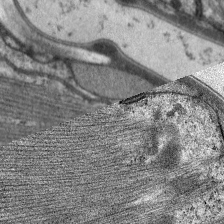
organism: C. elegans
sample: Pharynx